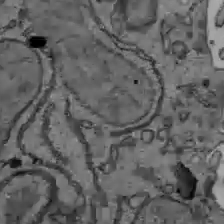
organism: C57BL Mouse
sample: Liver